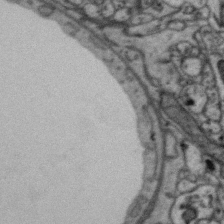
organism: Zebra finch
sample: Brain